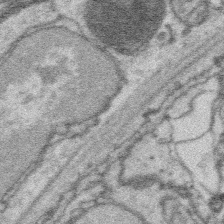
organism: Platynereis dumerilii